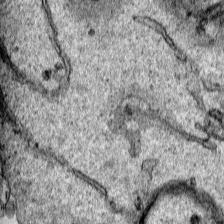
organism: Human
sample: Mitochondria in HCT116 cells